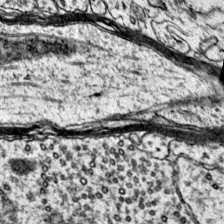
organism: Mouse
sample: Primary visual cortex